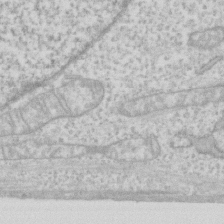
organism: Human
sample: Fibroblast cells